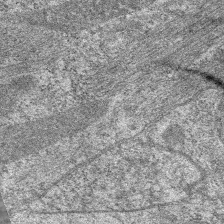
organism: C. elegans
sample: Pharynx